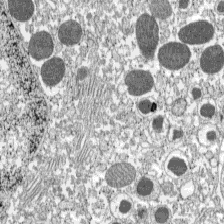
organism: C57BL Mouse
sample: Pancreatic islet